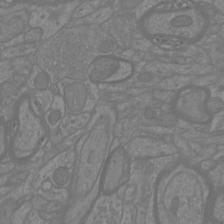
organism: Mouse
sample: Cortical neurons